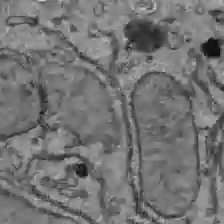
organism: C57BL Mouse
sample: Liver